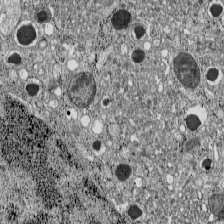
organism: C57BL Mouse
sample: Pancreatic islet